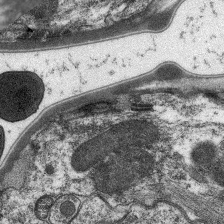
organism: C. elegans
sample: Pharynx